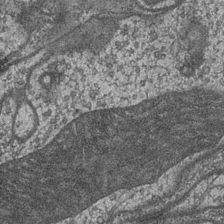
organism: Drosophila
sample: Optic medulla